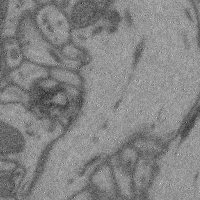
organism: Mouse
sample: Cerebral cortex